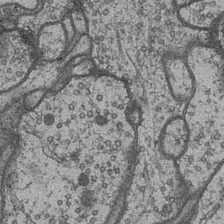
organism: Drosophila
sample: Optic medulla